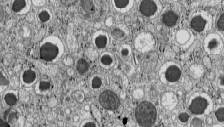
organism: C57BL Mouse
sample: Pancreatic islet